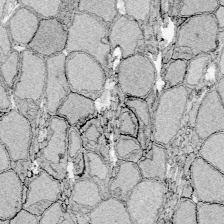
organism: Zebrafish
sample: Whole-Brain